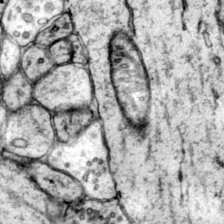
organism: Mouse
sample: Primary visual cortex